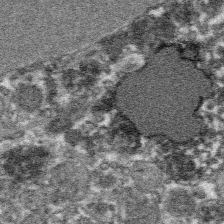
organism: Platynereis dumerilii